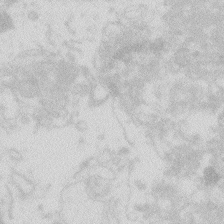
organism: Zebrafish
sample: Macrophage